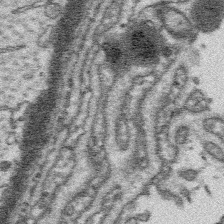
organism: Platynereis dumerilii